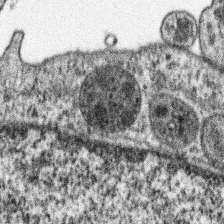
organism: Human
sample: HeLa cells